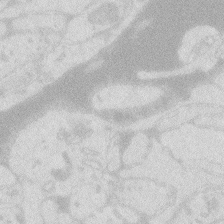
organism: Zebrafish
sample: Macrophage